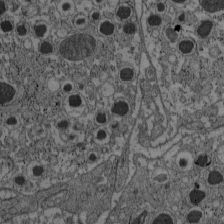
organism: C57BL Mouse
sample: Pancreatic islet